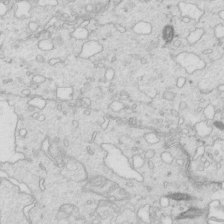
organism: Mouse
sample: Multiciliated cells